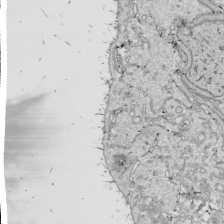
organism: Drosophila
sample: Cell division; meiosis; drosophila spermatocytes